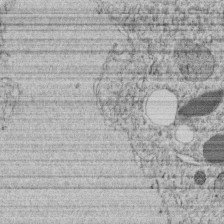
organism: C. elegans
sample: C. elegans embryo early stage